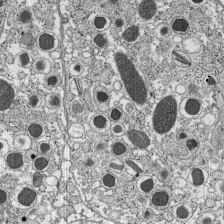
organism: C57BL Mouse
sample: Pancreatic islet